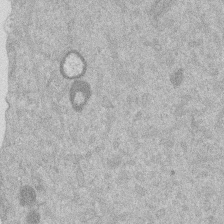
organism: Mouse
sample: Dividing mouse embryo 1 cell stage